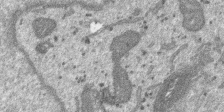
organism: Human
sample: Lung epithelial cells infected with SARS-CoV-2